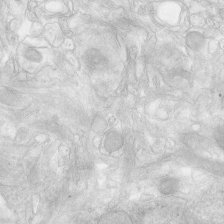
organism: Human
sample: Neocortex